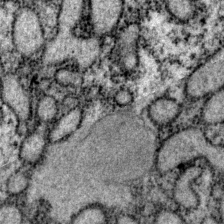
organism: P. pacificus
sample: Pharynx